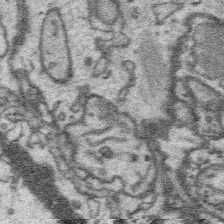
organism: Platynereis dumerilii